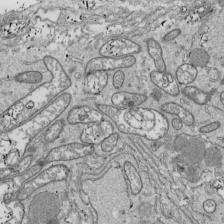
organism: Drosophila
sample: Cell division; meiosis; drosophila spermatocytes